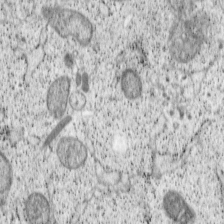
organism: African green monkey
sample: COS-7 cells